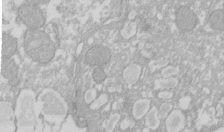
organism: Xenopus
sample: Cilia; centrioles in frog embryo cells